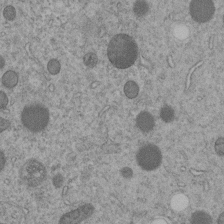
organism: C. elegans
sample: C. elegans embryo early stage